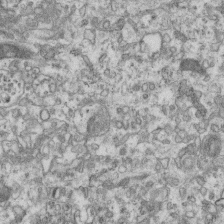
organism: Mouse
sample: Centriole in ependymal cells